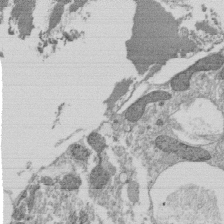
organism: Tetrahymena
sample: Cilia in tetrahymena